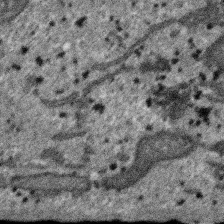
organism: Human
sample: Lung epithelial cells infected with SARS-CoV-2